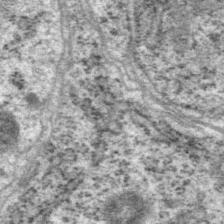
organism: P. pacificus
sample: Pharynx